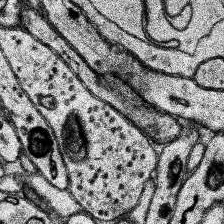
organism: Human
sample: Temporal Lobe